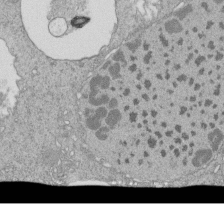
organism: Tetrahymena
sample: Cilia in tetrahymena